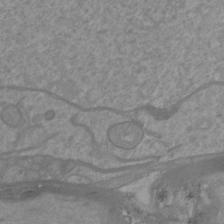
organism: Mouse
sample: Cortical neurons